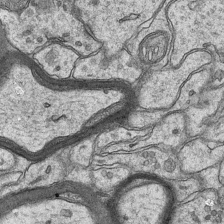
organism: Mouse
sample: CA1 Hippocampus